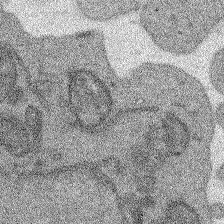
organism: Human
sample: HeLa cells